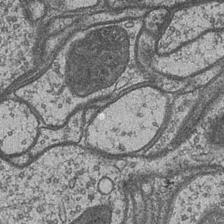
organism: Drosophila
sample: Optic medulla